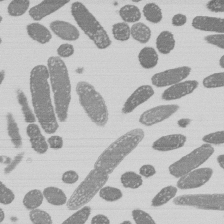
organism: E. coli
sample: Bacterial nucleoid